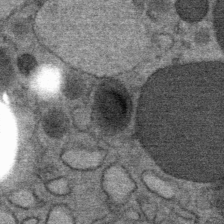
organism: Mouse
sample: Mouse Salivary gland